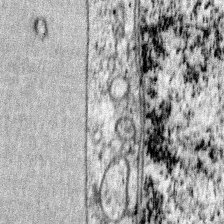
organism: Human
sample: HeLa cells